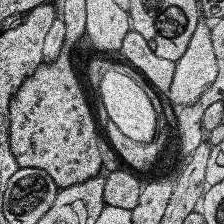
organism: Human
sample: Temporal Lobe